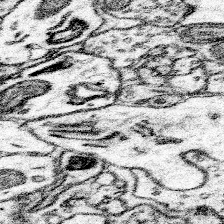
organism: Mouse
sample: Somatosensory cortex neuropil